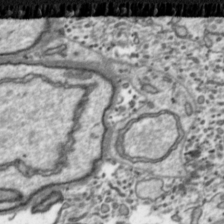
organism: Toxoplasma gondii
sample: Parasites in a vacuole inside a host cell